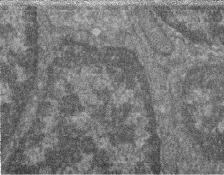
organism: Zebrafish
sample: Cilia; retinal pigment epithelium